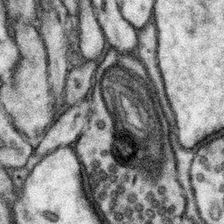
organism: Mouse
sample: Somatosensory cortex neuropil